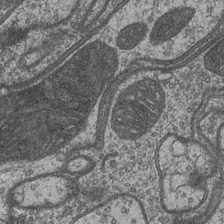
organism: Drosophila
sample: Optic medulla